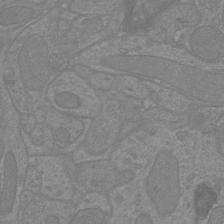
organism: Mouse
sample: Cortical neurons